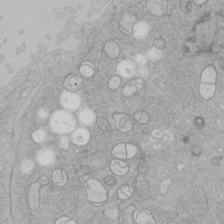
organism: Human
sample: Mitochondria in HCT116 cells